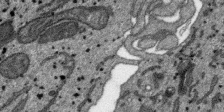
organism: Human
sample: Lung epithelial cells, uninfected (mock) control